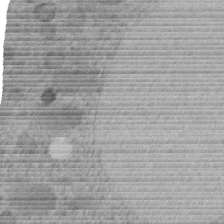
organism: C. elegans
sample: C. elegans embryo early stage